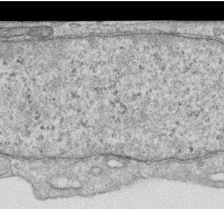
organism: Human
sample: Centriole in RPE cells